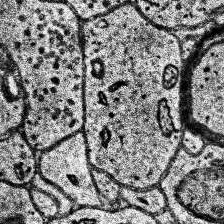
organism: Human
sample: Temporal Lobe